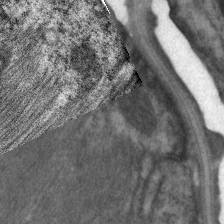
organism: C. elegans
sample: Pharynx